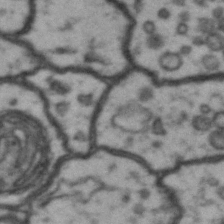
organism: Drosophila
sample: Brain